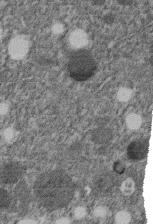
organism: C. elegans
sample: C. elegans embryo early stage